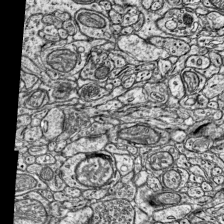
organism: Mouse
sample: Visual Cortex